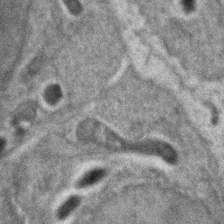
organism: Zebrafish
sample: Zebrafish embryo